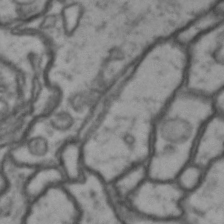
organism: Drosophila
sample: Brain